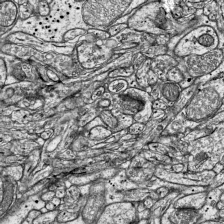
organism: Mouse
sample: Visual Cortex